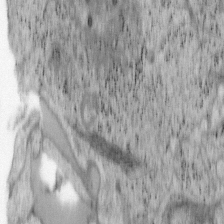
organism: Human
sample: HeLa cells